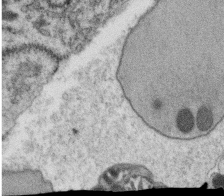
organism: C. elegans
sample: C. elegans oocyte; sperm cells